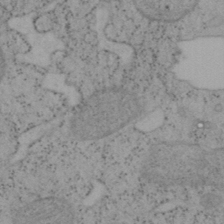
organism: Mouse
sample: OT-I killer T cells with ID8 ovarian cancer cells